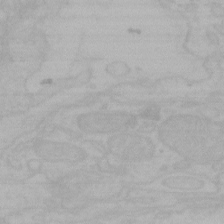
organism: Mouse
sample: Choroid plexus